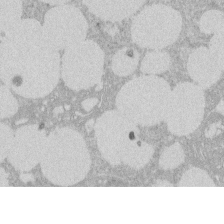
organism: Rat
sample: Salivary granule